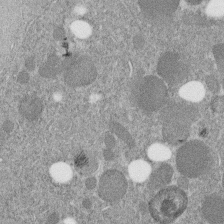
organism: C. elegans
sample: C. elegans embryo early stage